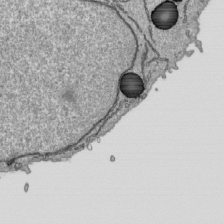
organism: Human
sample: Mitochondria in HCT116 cells